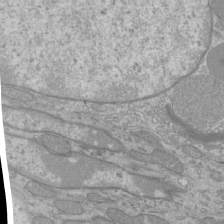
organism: Mouse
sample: Cilia; mouse epididymis